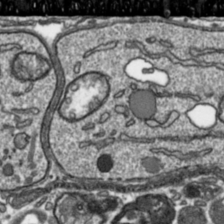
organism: Toxoplasma gondii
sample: Parasites in a vacuole inside a host cell